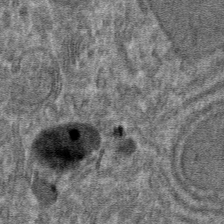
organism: Mouse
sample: Mouse hepatocytes